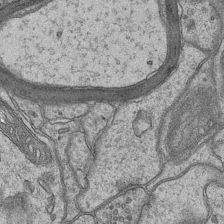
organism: Mouse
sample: CA1 Hippocampus